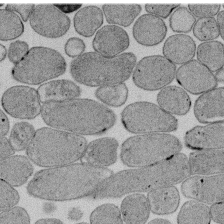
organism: E. coli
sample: Bacterial nucleoid